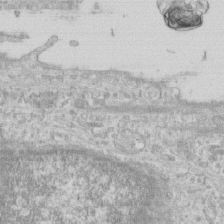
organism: Human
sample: CRL-1474